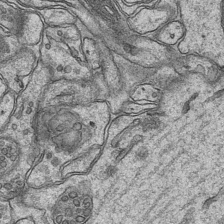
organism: Mouse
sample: CA1 Hippocampus